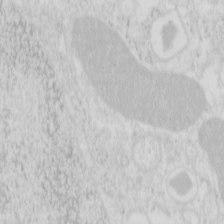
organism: Mouse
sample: Pancreas